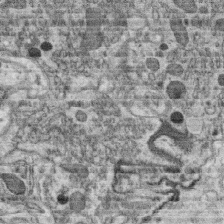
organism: C. elegans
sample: C. elegans oocyte; sperm cells